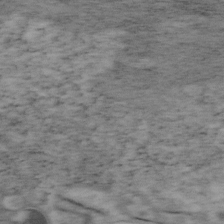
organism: Mouse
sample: OT-I killer T cells with ID8 ovarian cancer cells